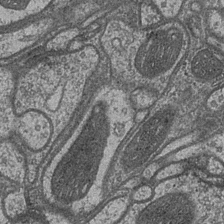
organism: Drosophila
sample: Optic medulla